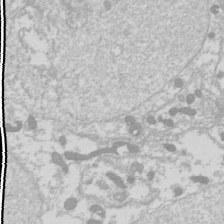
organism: Drosophila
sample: Cell division; meiosis; drosophila spermatocytes